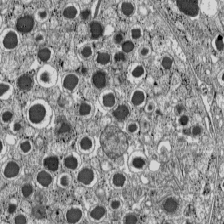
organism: C57BL Mouse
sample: Pancreatic islet